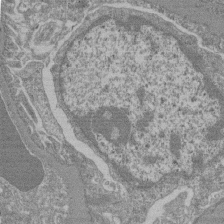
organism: Mouse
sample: Glomerulus